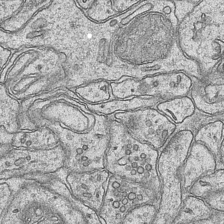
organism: Mouse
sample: CA1 Hippocampus